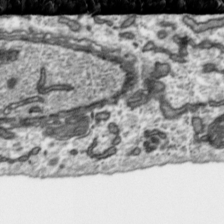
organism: Toxoplasma gondii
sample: Parasites in a vacuole inside a host cell